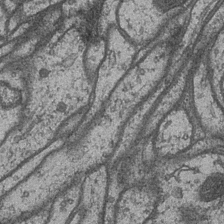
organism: Drosophila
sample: Optic medulla